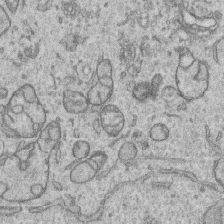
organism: Human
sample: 1205lu cells